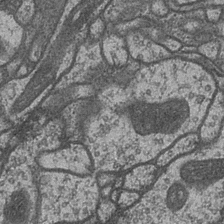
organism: Drosophila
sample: Optic medulla